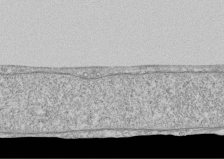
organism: Human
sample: CRL-1474